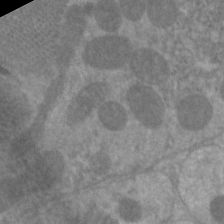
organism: C. elegans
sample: Pharynx